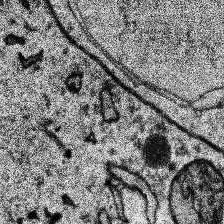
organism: Human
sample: Temporal Lobe